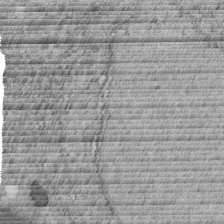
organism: C. elegans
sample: C. elegans embryo early stage